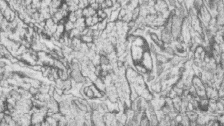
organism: Zebrafish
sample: synaptic ribbons in rod cells and cone cells